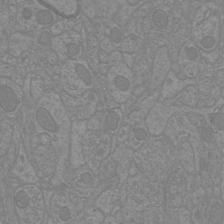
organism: Mouse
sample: Cortical neurons